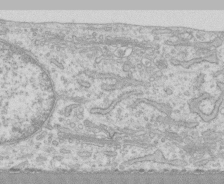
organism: Human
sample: CRL-1474